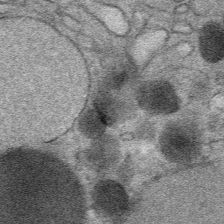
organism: Mouse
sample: Mouse Salivary gland